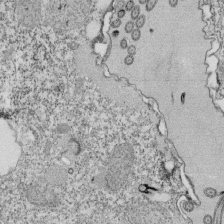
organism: Tetrahymena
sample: Cilia in tetrahymena